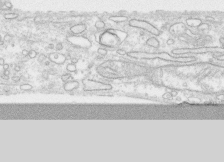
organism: Human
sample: CRL-1474